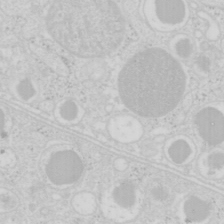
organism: Mouse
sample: Pancreas